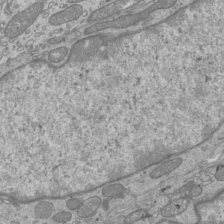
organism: Mouse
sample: Cilia; mouse epididymis